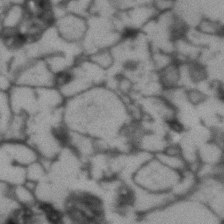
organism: Human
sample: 1205lu cells